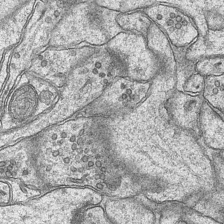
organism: Mouse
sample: CA1 Hippocampus